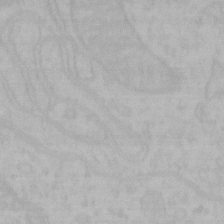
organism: Mouse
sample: Choroid plexus